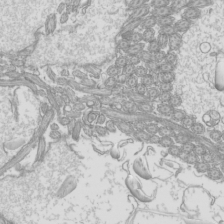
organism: Mouse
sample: Cilia; mouse epididymis